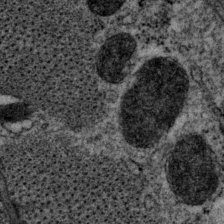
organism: P. pacificus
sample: Pharynx